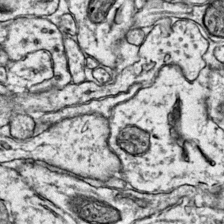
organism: Mouse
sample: Primary visual cortex